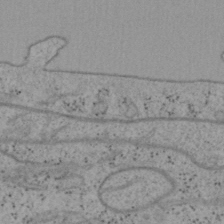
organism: Human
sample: HeLa cells